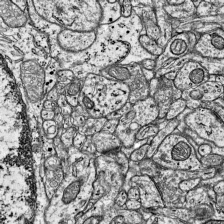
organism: Mouse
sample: Visual Cortex